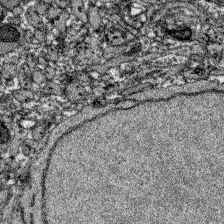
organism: Zebrafish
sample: Larval olfactory bulb